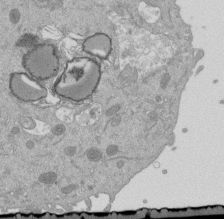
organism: Mouse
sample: ED-1 cell nuclei; centrioles